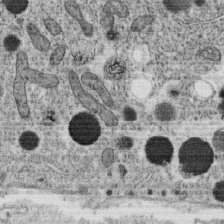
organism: C. elegans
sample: C. elegans oocyte; sperm cells